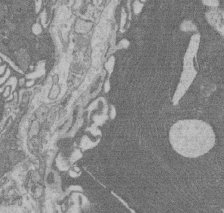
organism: Rat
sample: Salivary granule